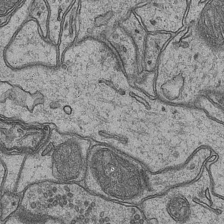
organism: Mouse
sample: CA1 Hippocampus